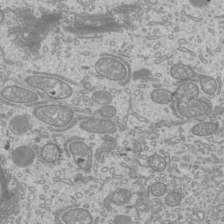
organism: Mouse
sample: Cilia; mouse epididymis